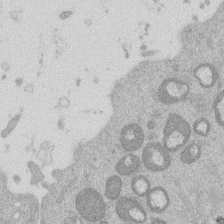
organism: Mouse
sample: Dividing mouse embryo 1 cell stage